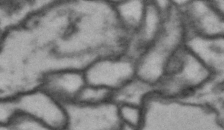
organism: Drosophila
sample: Brain